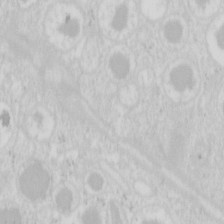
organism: Mouse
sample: Pancreas